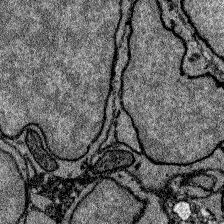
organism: Zebrafish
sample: Larval olfactory bulb